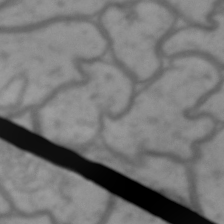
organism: Drosophila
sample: Brain